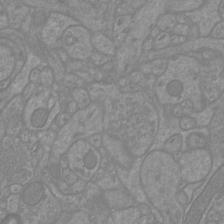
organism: Mouse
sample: Cortical neurons